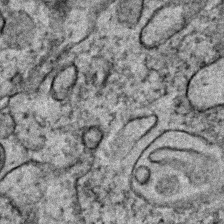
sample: Trachea